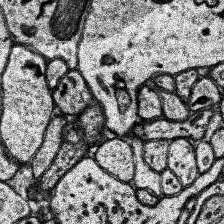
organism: Human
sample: Temporal Lobe